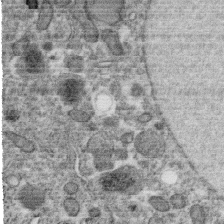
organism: C. elegans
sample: C. elegans oocyte; sperm cells